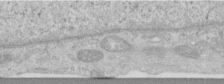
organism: Human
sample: Centriole in RPE cells